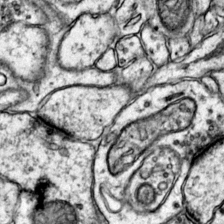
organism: Mouse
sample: Primary visual cortex